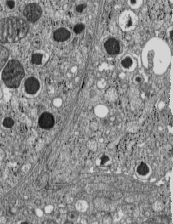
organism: C57BL Mouse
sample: Pancreatic islet